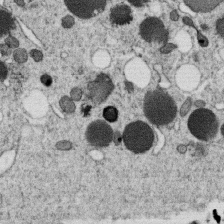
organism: C. elegans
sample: C. elegans oocyte; sperm cells